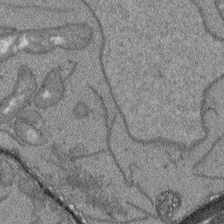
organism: Arabidopsis thaliana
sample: Root tip